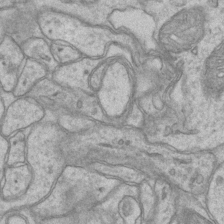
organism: Mouse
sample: CA1 Hippocampus